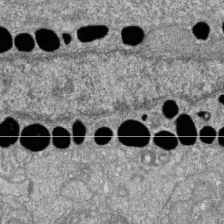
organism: Zebrafish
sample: Cilia; retinal pigment epithelium